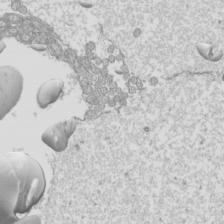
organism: Mouse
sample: Cilia; mouse epididymis